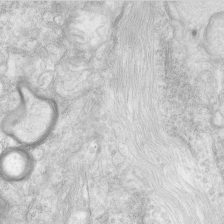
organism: Human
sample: Neocortex